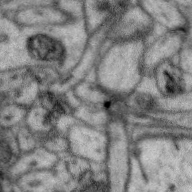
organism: Zebra finch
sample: Brain